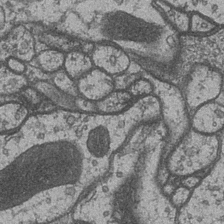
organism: Drosophila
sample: Optic medulla